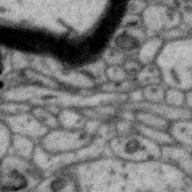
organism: Zebra finch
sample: Brain